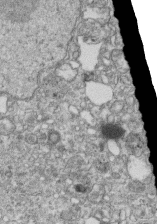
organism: Human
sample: HeLa cell HIV synapse